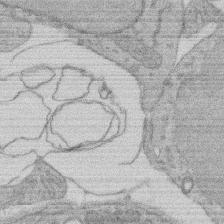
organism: Rat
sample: Salivary granule